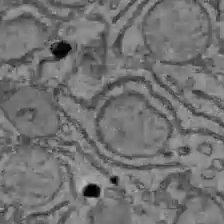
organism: C57BL Mouse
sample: Liver